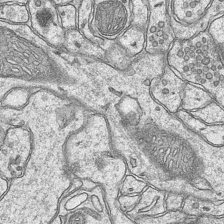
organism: Mouse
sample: CA1 Hippocampus